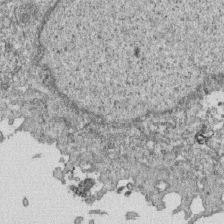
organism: Human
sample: HeLa cell HIV synapse